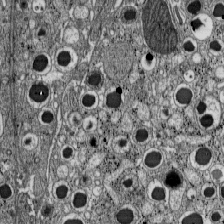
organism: C57BL Mouse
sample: Pancreatic islet